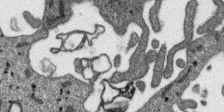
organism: Human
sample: Lung epithelial cells infected with SARS-CoV-2